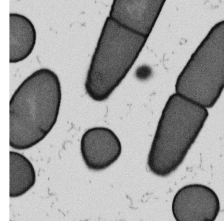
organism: B. subtilis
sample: Bacterial spore